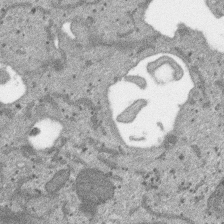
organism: Human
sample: Lung epithelial cells infected with SARS-CoV-2